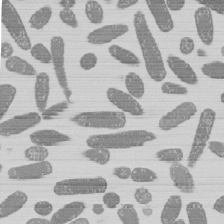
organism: E. coli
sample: Bacterial nucleoid